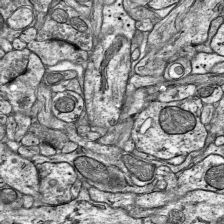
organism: Mouse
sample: Visual Cortex